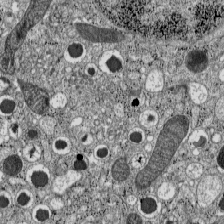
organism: C57BL Mouse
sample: Pancreatic islet